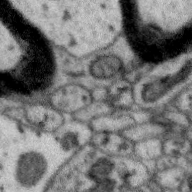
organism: Zebra finch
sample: Brain